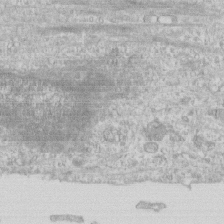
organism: Human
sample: CRL-1474